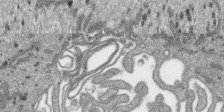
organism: Human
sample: Lung epithelial cells infected with SARS-CoV-2